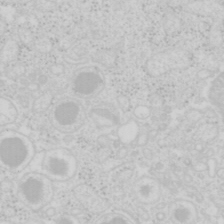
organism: Mouse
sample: Pancreas